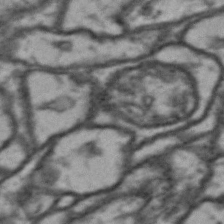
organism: Drosophila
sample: Brain